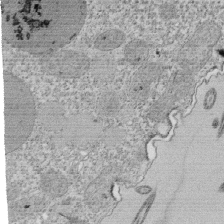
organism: Tetrahymena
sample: Cilia in tetrahymena